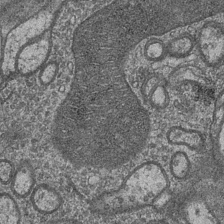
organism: Drosophila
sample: Optic medulla